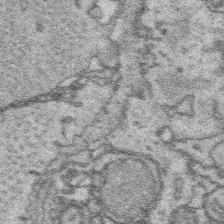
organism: Platynereis dumerilii